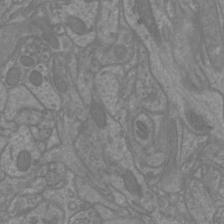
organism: Mouse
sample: Cortical neurons